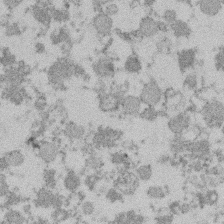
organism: Mouse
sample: Dividing mouse embryo 1 cell stage